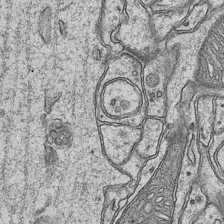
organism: Mouse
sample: CA1 Hippocampus